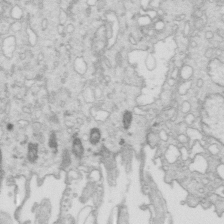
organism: Mouse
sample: Multiciliated cells